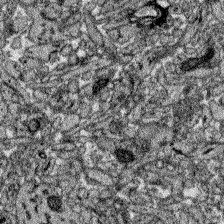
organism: Zebrafish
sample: Larval olfactory bulb